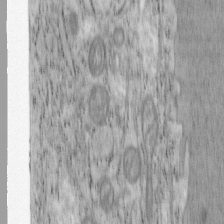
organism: Human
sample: HeLa cells